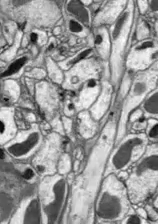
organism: Drosophila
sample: Optic lobe